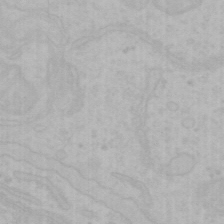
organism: Mouse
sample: Choroid plexus